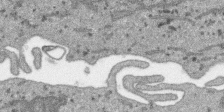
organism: Human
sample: Lung epithelial cells infected with SARS-CoV-2